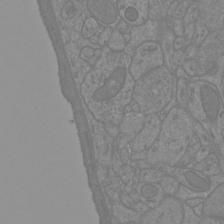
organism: Mouse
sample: Cortical neurons